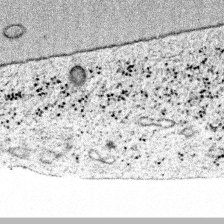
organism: Human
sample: HeLa cells